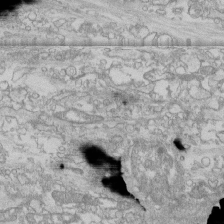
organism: Human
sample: CRL-1474